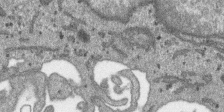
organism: Human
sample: Lung epithelial cells infected with SARS-CoV-2